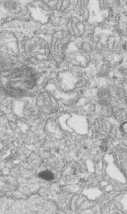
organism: Human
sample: HeLa cell HIV synapse